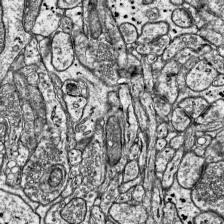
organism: Mouse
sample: Visual Cortex